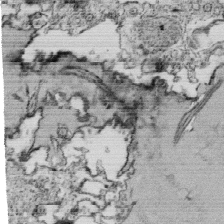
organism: Tetrahymena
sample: Cilia in tetrahymena